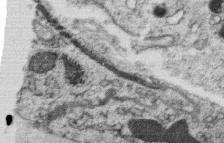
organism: C. elegans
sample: C. elegans oocyte; sperm cells